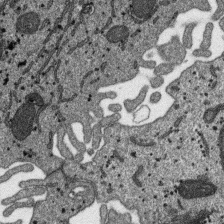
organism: Human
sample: Lung epithelial cells infected with SARS-CoV-2